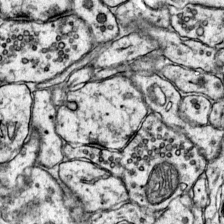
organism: Mouse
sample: Primary visual cortex